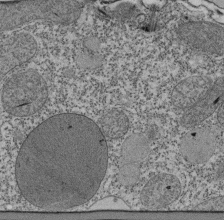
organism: Tetrahymena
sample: Cilia in tetrahymena